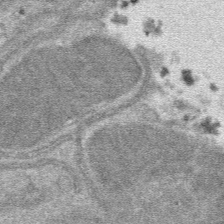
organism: Mouse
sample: Mouse hepatocytes